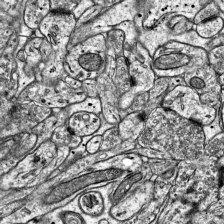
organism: Mouse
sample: Visual Cortex